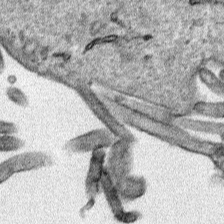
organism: Human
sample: Mitochondria in HCT116 cells